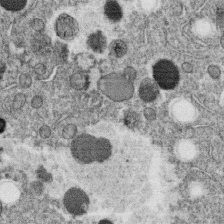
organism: C. elegans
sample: C. elegans oocyte; sperm cells